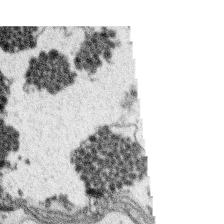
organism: Platynereis dumerilii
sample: Parapodia